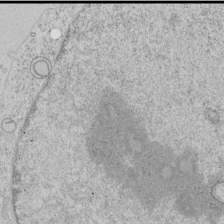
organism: Human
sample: Mitochondria in HCT116 cells